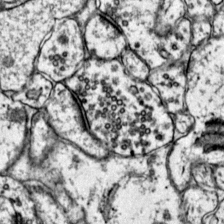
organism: Mouse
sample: Primary visual cortex